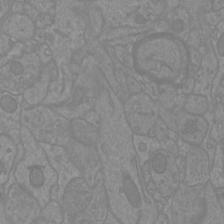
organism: Mouse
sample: Cortical neurons